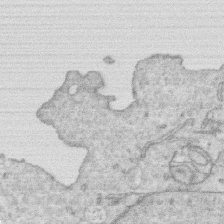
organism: Human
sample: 1205lu cells